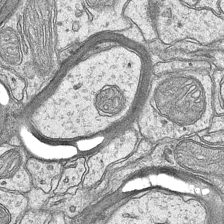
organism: Mouse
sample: CA1 Hippocampus